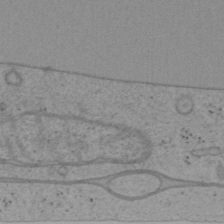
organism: Human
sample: HeLa cells